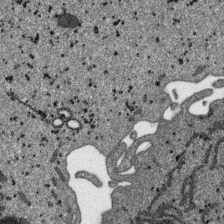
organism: Human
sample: Lung epithelial cells infected with SARS-CoV-2